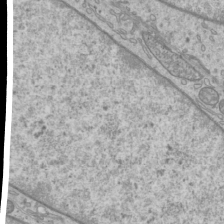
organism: Mouse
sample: Cilia; mouse epididymis